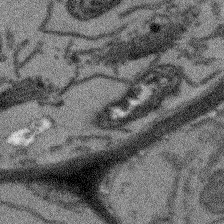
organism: Arabidopsis thaliana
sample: Root tip